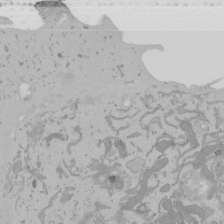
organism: Mouse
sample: Cancer cell death in ED-1 cells